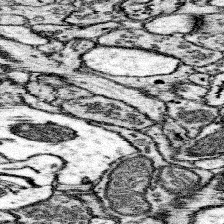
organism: Mouse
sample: Somatosensory cortex neuropil